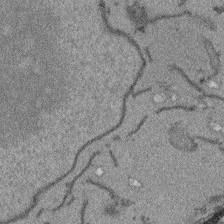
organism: Arabidopsis thaliana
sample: Root tip